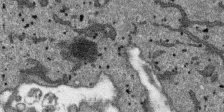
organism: Human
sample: Lung epithelial cells, uninfected (mock) control